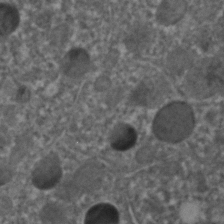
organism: C. elegans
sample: C. elegans embryo